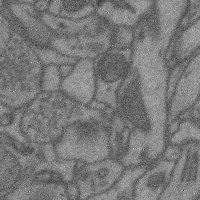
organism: Mouse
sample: Cerebral cortex